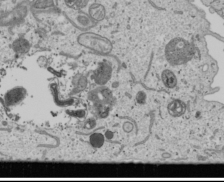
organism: Human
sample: Mitochondria in U2OS cells